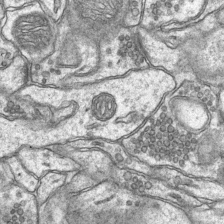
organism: Mouse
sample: CA1 Hippocampus